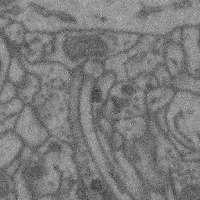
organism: Mouse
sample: Cerebral cortex